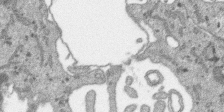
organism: Human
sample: Lung epithelial cells infected with SARS-CoV-2